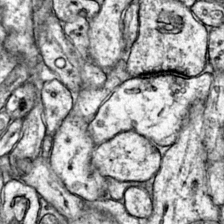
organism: Mouse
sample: Primary visual cortex